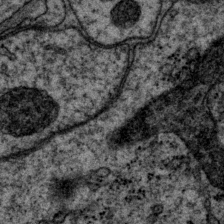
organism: P. pacificus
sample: Pharynx